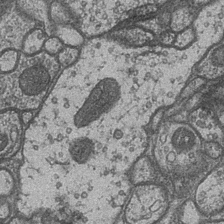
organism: Drosophila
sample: Optic medulla